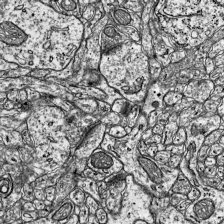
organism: Mouse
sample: Visual Cortex